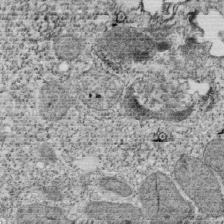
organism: Tetrahymena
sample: Cilia in tetrahymena